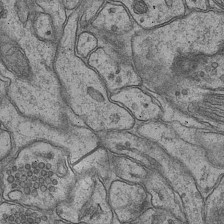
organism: Mouse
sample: CA1 Hippocampus